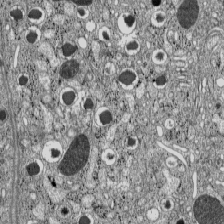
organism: C57BL Mouse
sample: Pancreatic islet